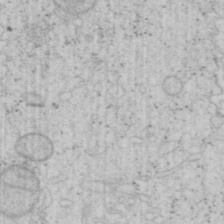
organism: Human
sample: HeLa cells